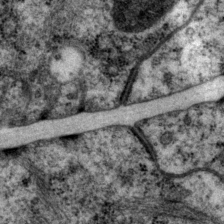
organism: P. pacificus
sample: Pharynx